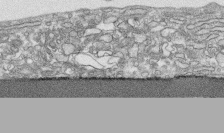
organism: Human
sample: CRL-1474